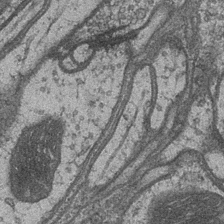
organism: Drosophila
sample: Optic medulla